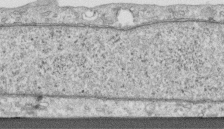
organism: Human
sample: Centriole in RPE cells